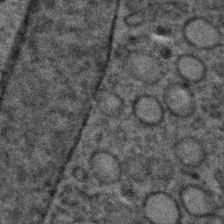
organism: C. elegans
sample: C. elegans embryo